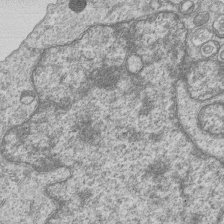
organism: Human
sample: MDA-MB-231 cells